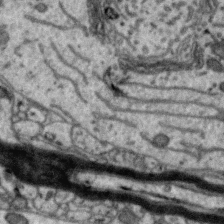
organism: Zebra finch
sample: Brain